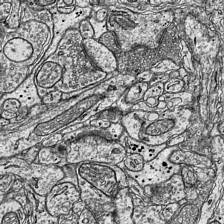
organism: Mouse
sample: Visual Cortex